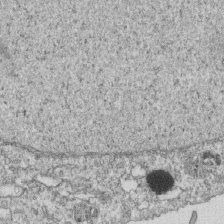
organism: Human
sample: HeLa cell HIV synapse